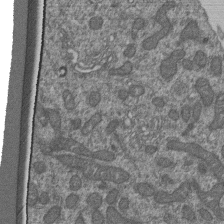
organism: Human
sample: Retinal organoid Rod and Cone cells